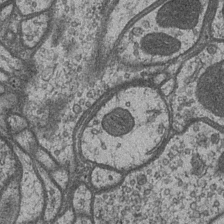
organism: Drosophila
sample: Optic medulla